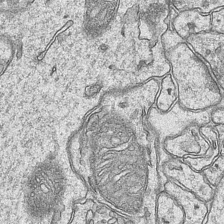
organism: Mouse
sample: CA1 Hippocampus